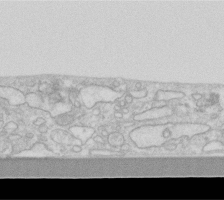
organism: Human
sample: Fibroblast cells